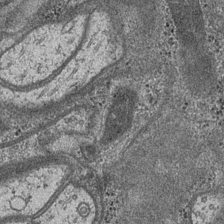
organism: Drosophila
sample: Optic medulla